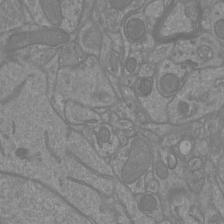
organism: Mouse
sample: Cortical neurons